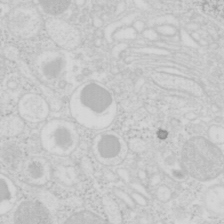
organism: Mouse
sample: Pancreas